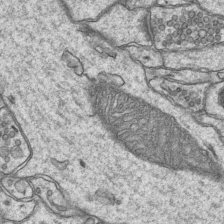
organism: Mouse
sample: CA1 Hippocampus